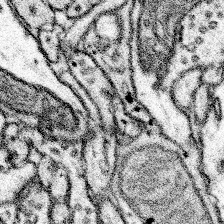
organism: Mouse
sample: Somatosensory cortex neuropil